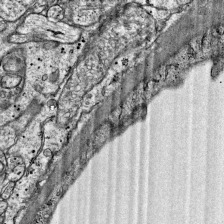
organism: Mouse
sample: Visual Cortex